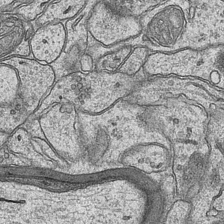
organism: Mouse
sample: CA1 Hippocampus